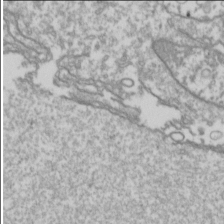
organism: Drosophila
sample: Cell division; meiosis; drosophila spermatocytes